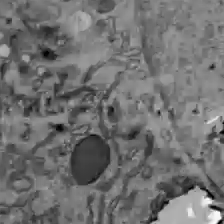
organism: C57BL Mouse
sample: Liver